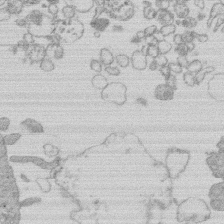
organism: Human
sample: Macrophage cells